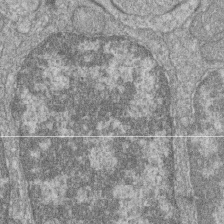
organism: Zebrafish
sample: Cilia; retinal pigment epithelium